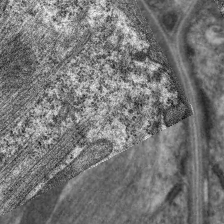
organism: C. elegans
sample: Pharynx